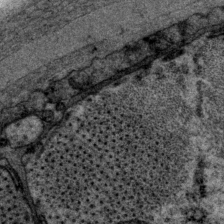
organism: P. pacificus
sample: Pharynx